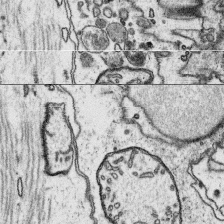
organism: Platynereis dumerilii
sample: Parapodia